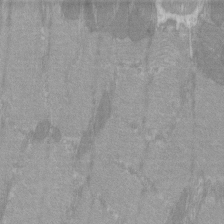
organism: C57BL Mouse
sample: Tibialis anterior muscle cell